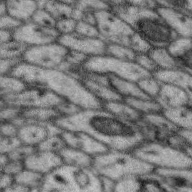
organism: Zebra finch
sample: Brain